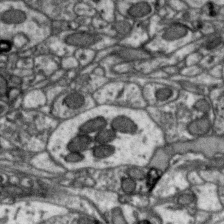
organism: Zebra finch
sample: Brain